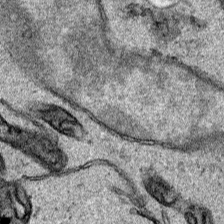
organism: Human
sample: Mitochondria in HCT116 cells